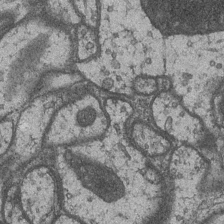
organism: Drosophila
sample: Optic medulla